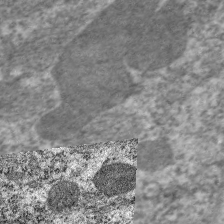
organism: C. elegans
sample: Pharynx